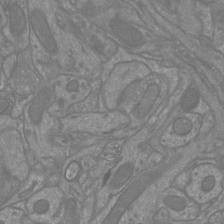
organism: Mouse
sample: Cortical neurons